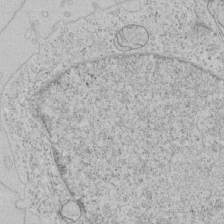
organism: Human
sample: Mitochondria in HCT116 cells